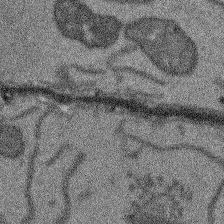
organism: Arabidopsis thaliana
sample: Root tip